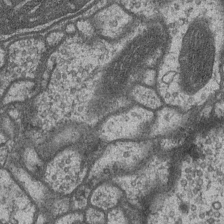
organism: Drosophila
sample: Optic medulla